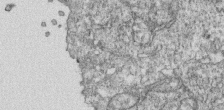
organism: Human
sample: HeLa cell HIV synapse